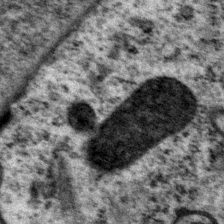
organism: P. pacificus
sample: Pharynx